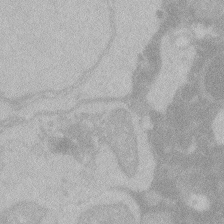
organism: Zebrafish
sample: Macrophage infected with Toxoplasma gondii